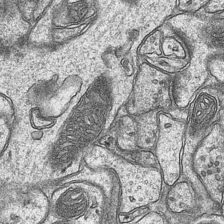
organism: Mouse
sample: CA1 Hippocampus